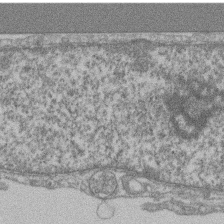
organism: Mouse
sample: T cell stromal cell synapse